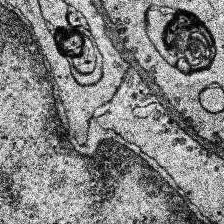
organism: Human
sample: Temporal Lobe